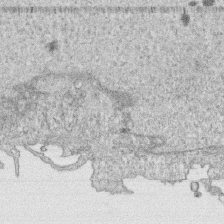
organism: Human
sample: HeLa cell HIV synapse